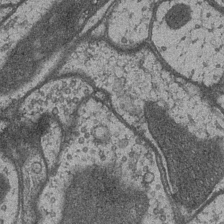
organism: Drosophila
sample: Optic medulla